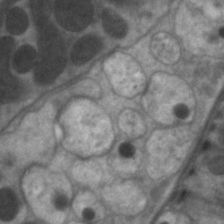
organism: C. elegans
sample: Pharynx